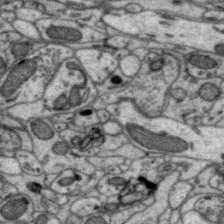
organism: Zebra finch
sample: Brain